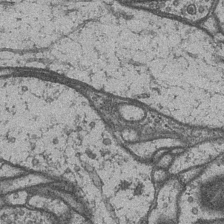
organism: Drosophila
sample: Optic medulla